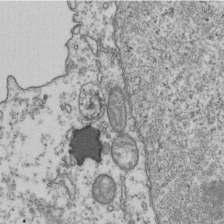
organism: Human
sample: Activated Jurkat CD4+ T cells